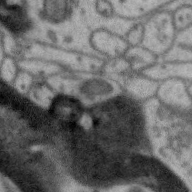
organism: Zebra finch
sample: Brain